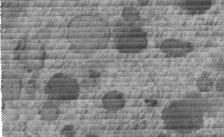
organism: C. elegans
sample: C. elegans embryo early stage